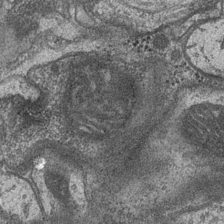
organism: Drosophila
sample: Optic medulla